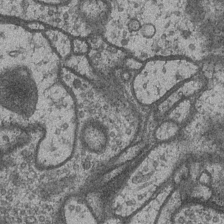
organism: Drosophila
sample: Optic medulla